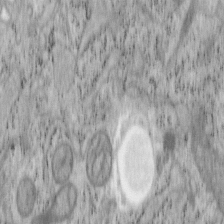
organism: Human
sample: HeLa cells